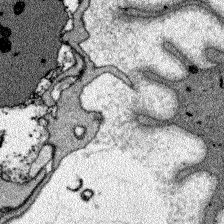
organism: Zebrafish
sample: Larval olfactory bulb